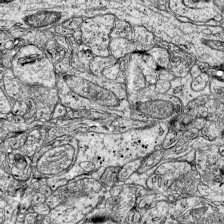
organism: Mouse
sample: Visual Cortex